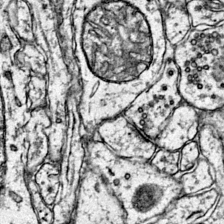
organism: Mouse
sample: Primary visual cortex